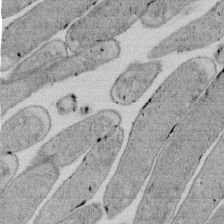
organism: E. coli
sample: Bacterial nucleoid